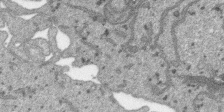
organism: Human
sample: Lung epithelial cells infected with SARS-CoV-2